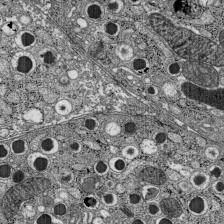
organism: C57BL Mouse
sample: Pancreatic islet